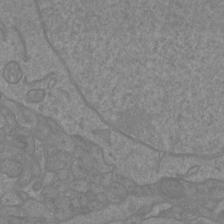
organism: Mouse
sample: Cortical neurons